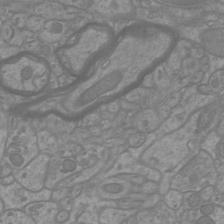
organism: Mouse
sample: Cortical neurons